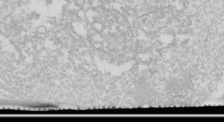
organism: Drosophila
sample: Cell division; meiosis; drosophila spermatocytes